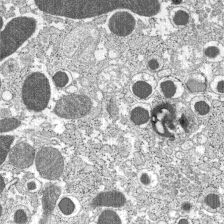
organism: C57BL Mouse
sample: Pancreatic islet